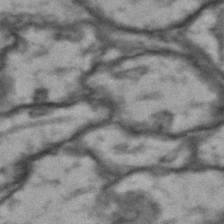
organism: Drosophila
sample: Brain